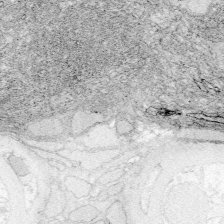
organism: Zebrafish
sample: Whole-Brain